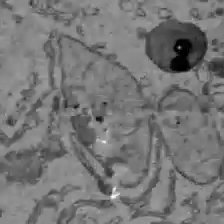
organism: C57BL Mouse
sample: Liver